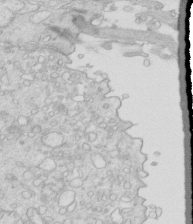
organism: Mouse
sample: Multiciliated cells